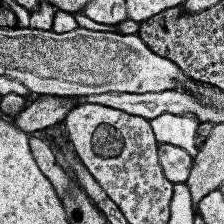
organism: Human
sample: Temporal Lobe